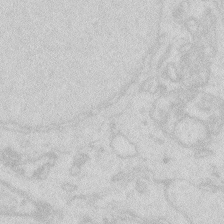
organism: Zebrafish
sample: Macrophage